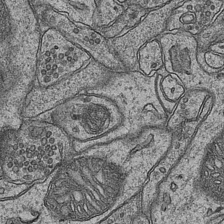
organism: Mouse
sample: CA1 Hippocampus